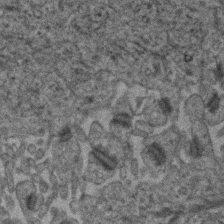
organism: Human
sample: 1205lu cells